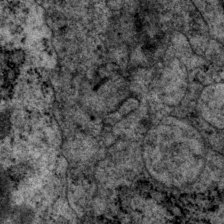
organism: P. pacificus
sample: Pharynx